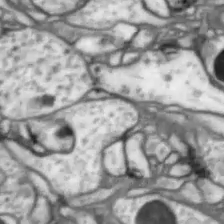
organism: Drosophila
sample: Optic lobe